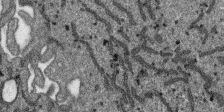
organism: Human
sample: Lung epithelial cells infected with SARS-CoV-2